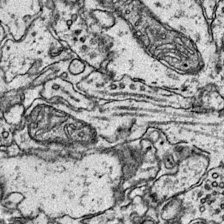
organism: Mouse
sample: Primary visual cortex